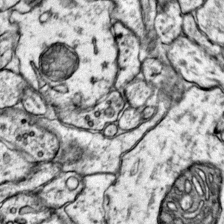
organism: Mouse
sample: Primary visual cortex